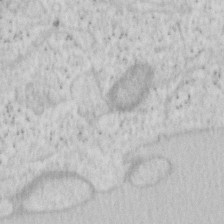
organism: Human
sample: HeLa cells